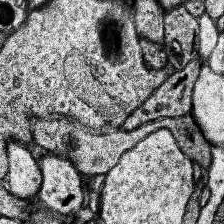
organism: Human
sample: Temporal Lobe